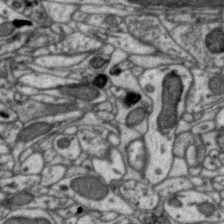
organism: Zebra finch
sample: Brain